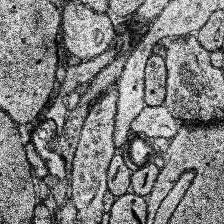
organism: Human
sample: Temporal Lobe